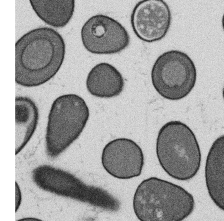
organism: B. subtilis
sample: Bacterial spore